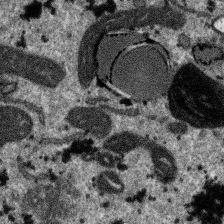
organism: Human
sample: Lung epithelial cells infected with SARS-CoV-2